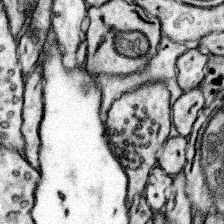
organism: Mouse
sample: Somatosensory cortex neuropil